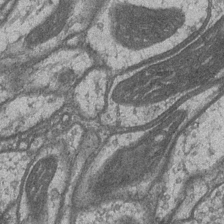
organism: Drosophila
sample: Optic medulla